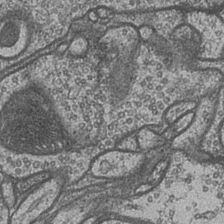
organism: Drosophila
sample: Optic medulla